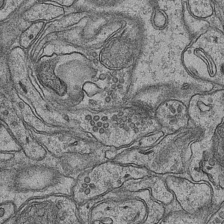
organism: Mouse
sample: CA1 Hippocampus